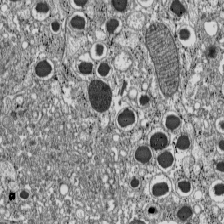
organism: C57BL Mouse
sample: Pancreatic islet